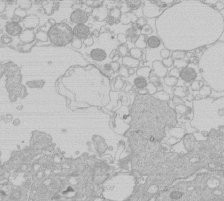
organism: Human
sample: Macrophage cells